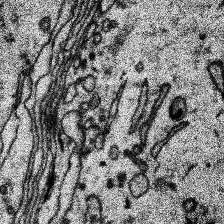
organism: Human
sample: Temporal Lobe